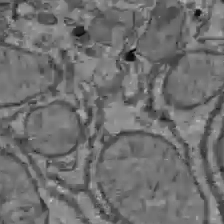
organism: C57BL Mouse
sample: Liver